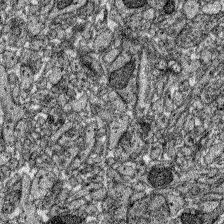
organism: Zebrafish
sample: Larval olfactory bulb